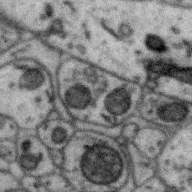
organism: Zebra finch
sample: Brain